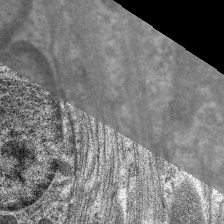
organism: C. elegans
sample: Pharynx